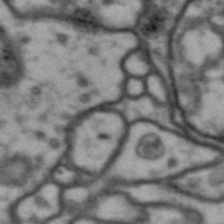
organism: Drosophila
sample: Brain